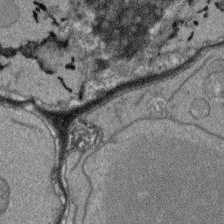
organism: Arabidopsis thaliana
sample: Root tip